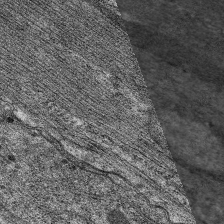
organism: C. elegans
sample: Pharynx